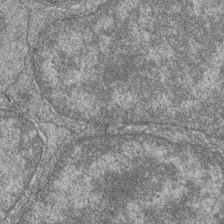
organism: Zebrafish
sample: Cilia; retinal pigment epithelium